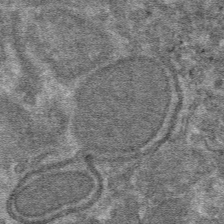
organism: Mouse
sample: Mouse hepatocytes